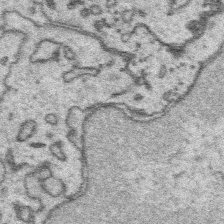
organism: Platynereis dumerilii